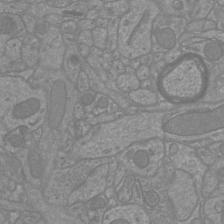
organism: Mouse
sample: Cortical neurons